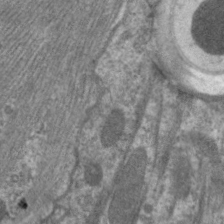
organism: C. elegans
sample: Pharynx